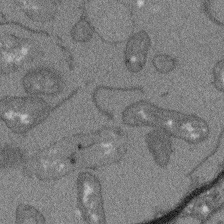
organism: Arabidopsis thaliana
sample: Root tip